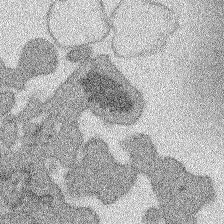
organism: Human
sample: HeLa cells